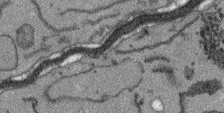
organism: Arabidopsis thaliana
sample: Root tip